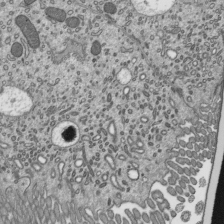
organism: Mouse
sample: Mouse epididymis efferent ductule cilia